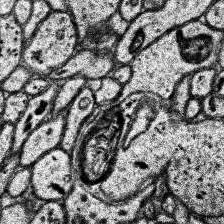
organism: Human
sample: Temporal Lobe